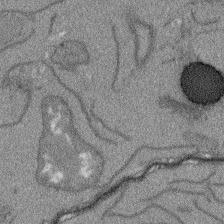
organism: Arabidopsis thaliana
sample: Root tip